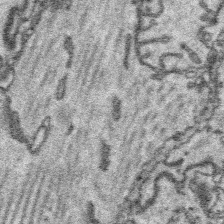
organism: Platynereis dumerilii